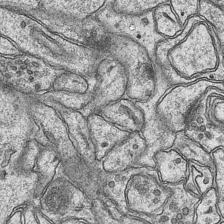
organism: Mouse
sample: CA1 Hippocampus